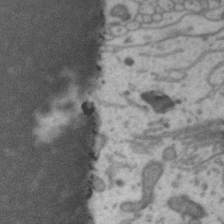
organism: Zebra finch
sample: Brain